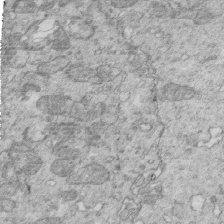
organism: Mouse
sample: Multiciliated cells